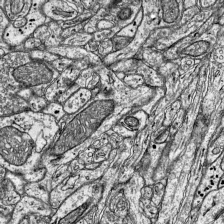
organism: Mouse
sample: Visual Cortex